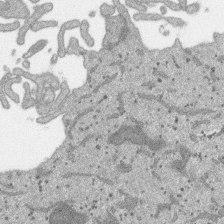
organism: Human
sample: Lung epithelial cells infected with SARS-CoV-2